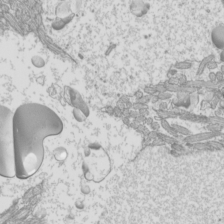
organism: Mouse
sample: Cilia; mouse epididymis